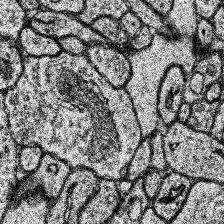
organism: Human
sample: Temporal Lobe